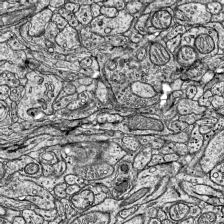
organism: Mouse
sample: Visual Cortex